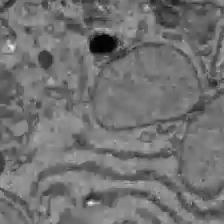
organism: C57BL Mouse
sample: Liver